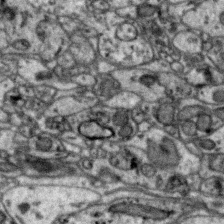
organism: Zebra finch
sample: Brain